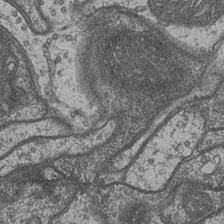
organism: Drosophila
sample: Optic medulla